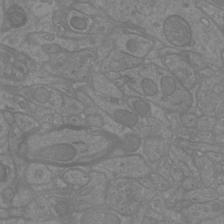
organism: Mouse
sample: Cortical neurons